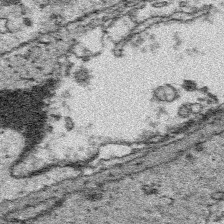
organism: Platynereis dumerilii